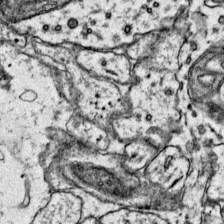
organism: Mouse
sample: Primary visual cortex